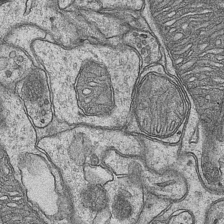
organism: Mouse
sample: CA1 Hippocampus